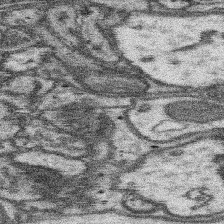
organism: Mouse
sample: Somatosensory cortex neuropil